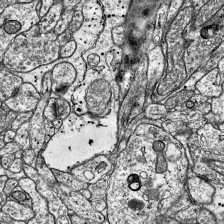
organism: Mouse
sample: Visual Cortex